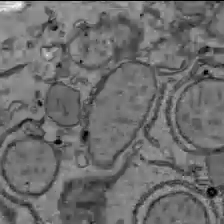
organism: C57BL Mouse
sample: Liver